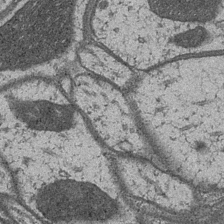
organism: Drosophila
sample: Optic medulla